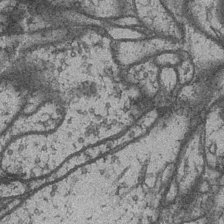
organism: Drosophila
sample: Optic medulla